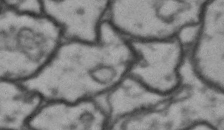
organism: Drosophila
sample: Brain